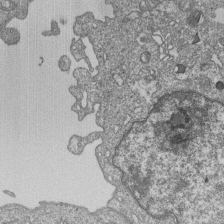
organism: Human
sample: MDA-MB-231 cells